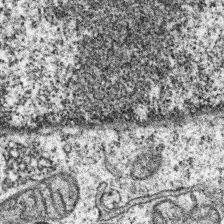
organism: Human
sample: HeLa cells